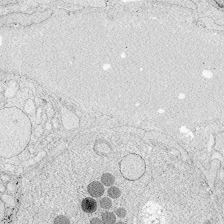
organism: Zebrafish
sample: Whole-Brain